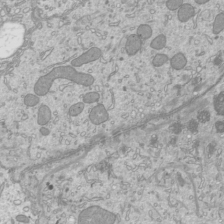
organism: Mouse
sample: Cilia; mouse epididymis